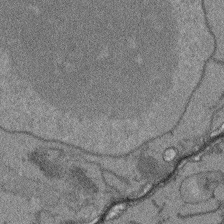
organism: Arabidopsis thaliana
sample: Root tip